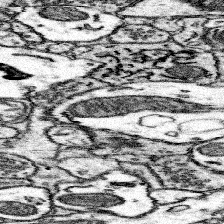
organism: Mouse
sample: Somatosensory cortex neuropil